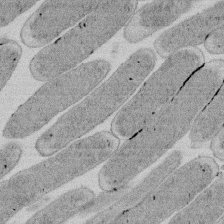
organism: E. coli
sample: Bacterial nucleoid